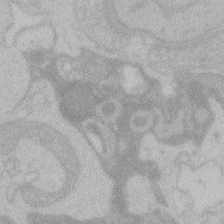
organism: Zebrafish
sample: Macrophage infected with Toxoplasma gondii